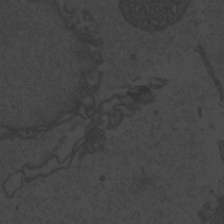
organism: Zebrafish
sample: Macrophage infected with Toxoplasma gondii